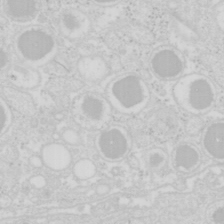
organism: Mouse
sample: Pancreas